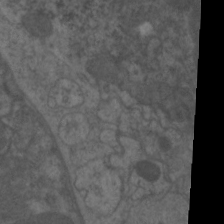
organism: C. elegans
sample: Pharynx